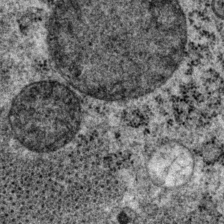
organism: P. pacificus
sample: Pharynx